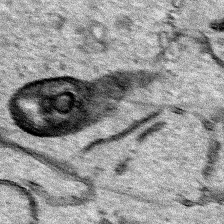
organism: Human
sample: Mitochondria in HCT116 cells